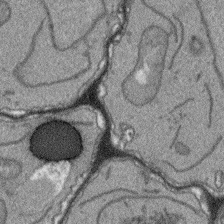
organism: Arabidopsis thaliana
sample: Root tip